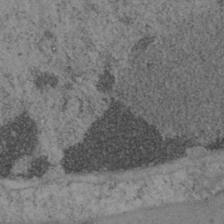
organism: Mouse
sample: OT-I killer T cells with ID8 ovarian cancer cells